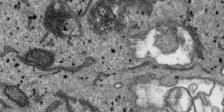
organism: Human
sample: Lung epithelial cells, uninfected (mock) control